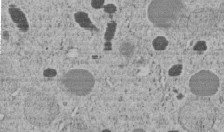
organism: C. elegans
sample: C. elegans embryo early stage